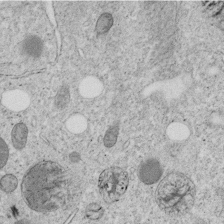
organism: C. elegans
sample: C. elegans embryo early stage